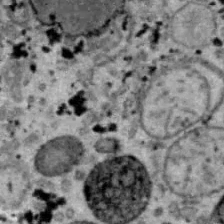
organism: Mouse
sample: Liver from an obese (ob/ob) mouse